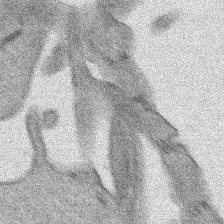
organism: Human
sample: Mitochondria in HCT116 cells